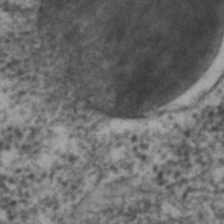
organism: C. elegans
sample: C. elegans embryo